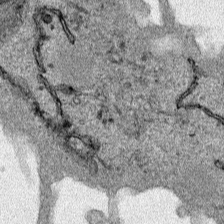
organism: Human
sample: Mitochondria in HCT116 cells